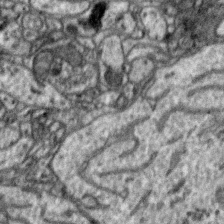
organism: Zebra finch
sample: Brain